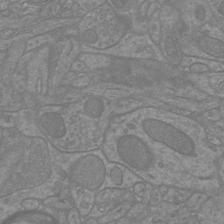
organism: Mouse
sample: Cortical neurons